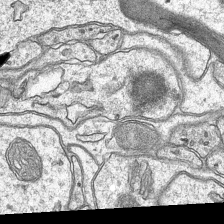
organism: Mouse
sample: CA1 Hippocampus